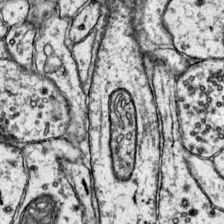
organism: Mouse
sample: Primary visual cortex